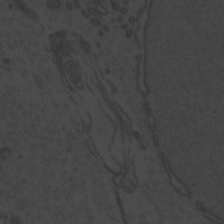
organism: Zebrafish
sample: Macrophage infected with Toxoplasma gondii